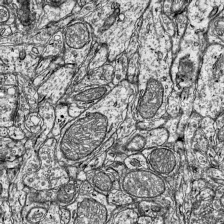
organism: Mouse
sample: Visual Cortex